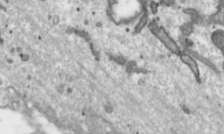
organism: Toxoplasma gondii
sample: Parasites in a vacuole inside a host cell